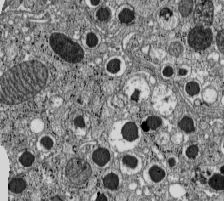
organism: C57BL Mouse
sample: Pancreatic islet